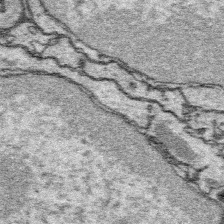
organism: Platynereis dumerilii